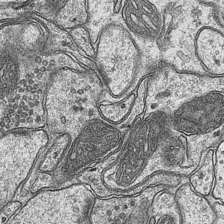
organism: Mouse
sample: CA1 Hippocampus